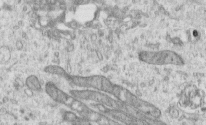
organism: Human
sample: Centriole in RPE cells